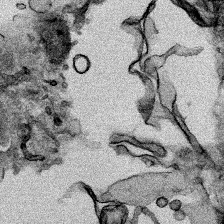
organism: Human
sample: Mitochondria in HCT116 cells